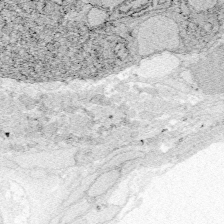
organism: Zebrafish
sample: Whole-Brain